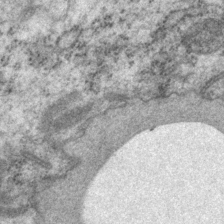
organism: P. pacificus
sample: Pharynx